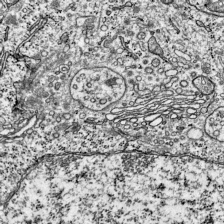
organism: Mouse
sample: Visual Cortex